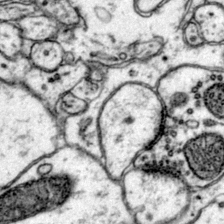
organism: Mouse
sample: Primary visual cortex